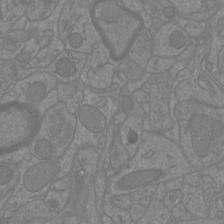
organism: Mouse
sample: Cortical neurons